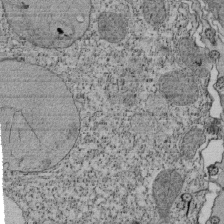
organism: Tetrahymena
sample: Cilia in tetrahymena